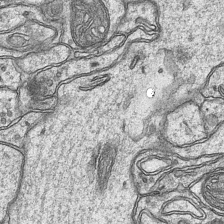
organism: Mouse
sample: CA1 Hippocampus